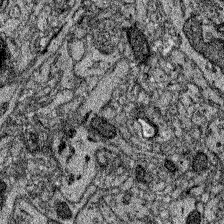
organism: Zebrafish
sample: Larval olfactory bulb